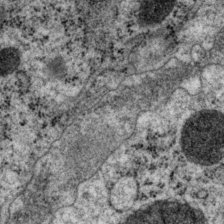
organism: P. pacificus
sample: Pharynx